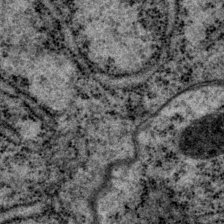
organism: P. pacificus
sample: Pharynx